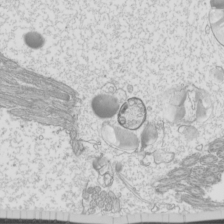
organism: Mouse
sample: Cilia; mouse epididymis